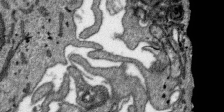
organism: Human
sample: Lung epithelial cells, uninfected (mock) control